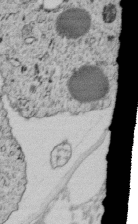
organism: C. elegans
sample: C. elegans embryo early stage